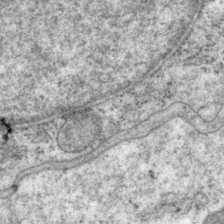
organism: P. pacificus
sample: Pharynx